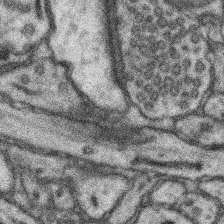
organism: Mouse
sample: Somatosensory cortex neuropil